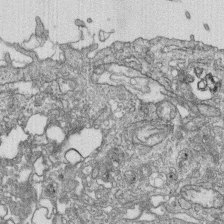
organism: Human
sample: HeLa cell HIV synapse